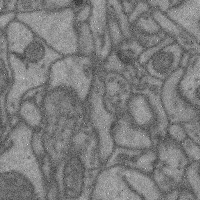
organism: Mouse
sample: Cerebral cortex